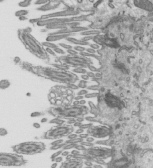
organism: Mouse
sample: Mouse epididymis efferent ductule cilia